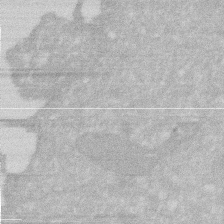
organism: Human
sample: HIV infected U937 cells